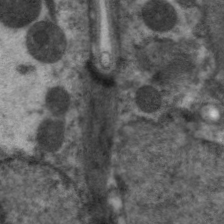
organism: C. elegans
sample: Pharynx